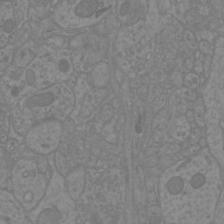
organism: Mouse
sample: Cortical neurons